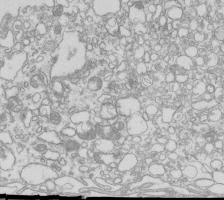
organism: Mouse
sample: Macrophages